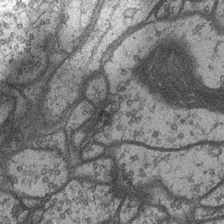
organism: Drosophila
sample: Optic medulla